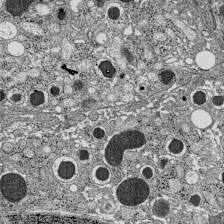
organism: C57BL Mouse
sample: Pancreatic islet